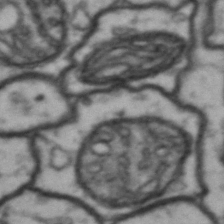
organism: Drosophila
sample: Brain